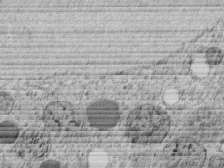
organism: C. elegans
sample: C. elegans embryo early stage